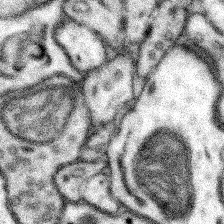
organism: Mouse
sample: Somatosensory cortex neuropil